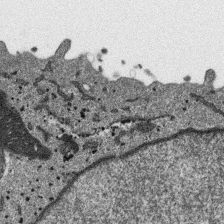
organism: Human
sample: Lung epithelial cells infected with SARS-CoV-2